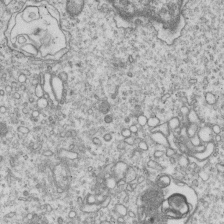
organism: Human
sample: MDA-MB-231 cells